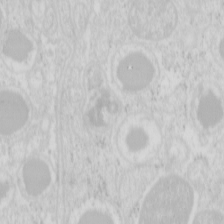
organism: Mouse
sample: Pancreas